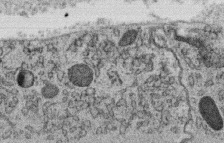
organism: C. elegans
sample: C. elegans oocyte; sperm cells